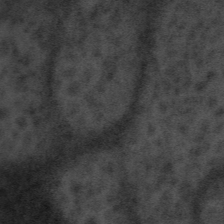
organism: Tuwongella immobilis